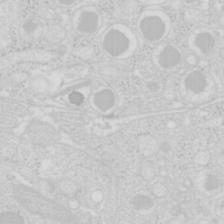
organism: Mouse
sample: Pancreas